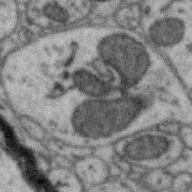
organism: Zebra finch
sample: Brain